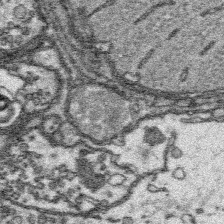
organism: Platynereis dumerilii